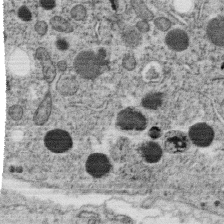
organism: C. elegans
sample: C. elegans oocyte; sperm cells